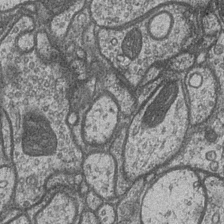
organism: Drosophila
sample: Optic medulla